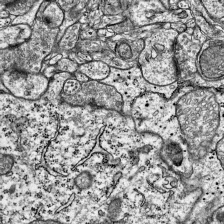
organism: Mouse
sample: Visual Cortex